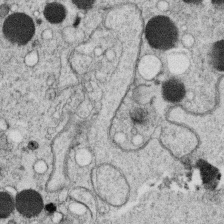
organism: C. elegans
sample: C. elegans oocyte; sperm cells